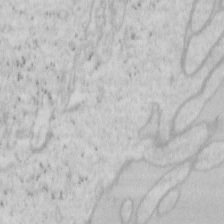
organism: Human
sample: HeLa cells